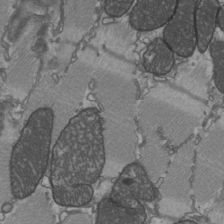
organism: C57BL Mouse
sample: Heart